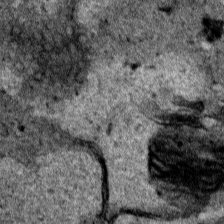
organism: Human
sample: Mitochondria in HCT116 cells